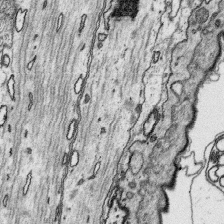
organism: Platynereis dumerilii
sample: Parapodia